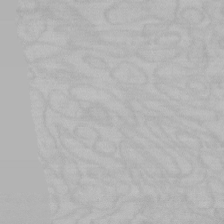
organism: Mouse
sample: Choroid plexus